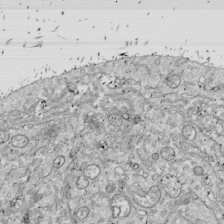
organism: Drosophila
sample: Cell division; meiosis; drosophila spermatocytes